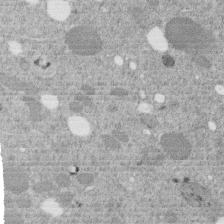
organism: C. elegans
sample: C. elegans embryo early stage